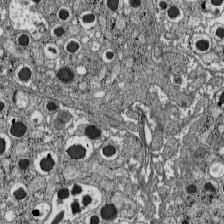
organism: C57BL Mouse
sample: Pancreatic islet